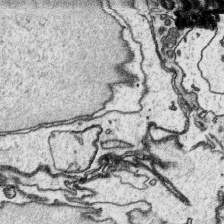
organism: Platynereis dumerilii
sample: Parapodia